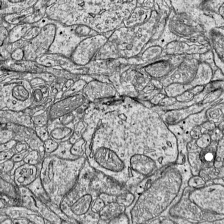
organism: Mouse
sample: Visual Cortex